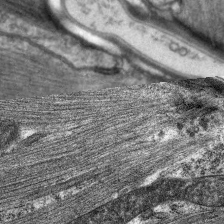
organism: C. elegans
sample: Pharynx